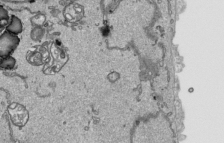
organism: Human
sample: Mitochondria in HCT116 cells